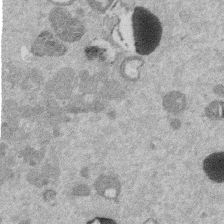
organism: Mouse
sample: Dividing mouse embryo 1 cell stage